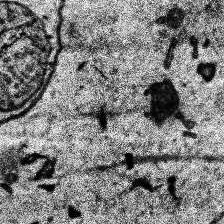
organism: Human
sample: Temporal Lobe